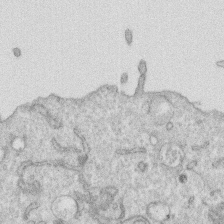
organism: Human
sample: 1205lu cells